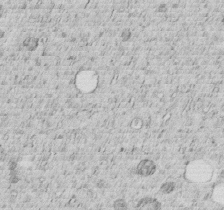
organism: C. elegans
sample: C. elegans embryo early stage